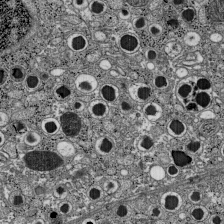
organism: C57BL Mouse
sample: Pancreatic islet